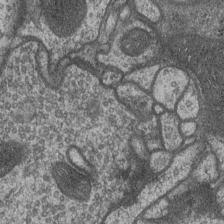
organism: Drosophila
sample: Optic medulla